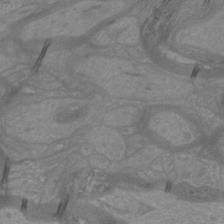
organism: Mouse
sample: Cortical neurons